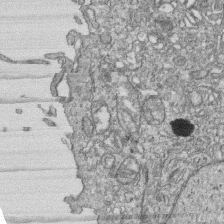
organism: Human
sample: HeLa cell HIV synapse